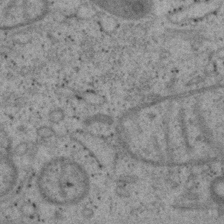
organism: Human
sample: HeLa cells